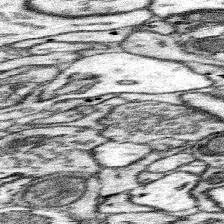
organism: Mouse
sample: Somatosensory cortex neuropil